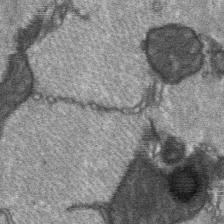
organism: C57BL Mouse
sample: Soleus